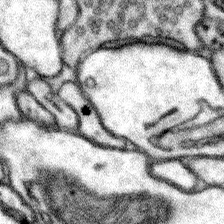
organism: Mouse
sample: Somatosensory cortex neuropil